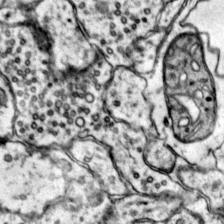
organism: Mouse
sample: Primary visual cortex